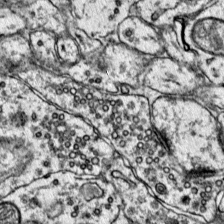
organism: Mouse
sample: Primary visual cortex